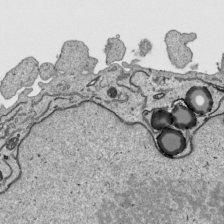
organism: Human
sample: Mitochondria in HCT116 cells